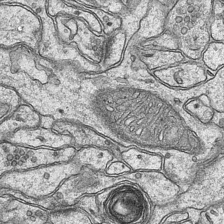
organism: Mouse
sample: CA1 Hippocampus